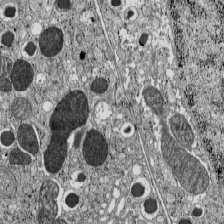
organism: C57BL Mouse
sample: Pancreatic islet